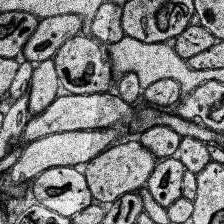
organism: Human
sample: Temporal Lobe